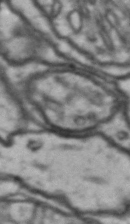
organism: Drosophila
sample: Brain